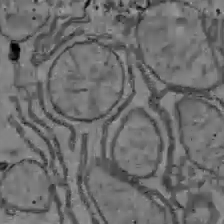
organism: C57BL Mouse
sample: Liver